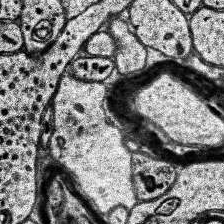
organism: Human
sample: Temporal Lobe